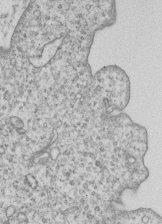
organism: Human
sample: MDA-MB-231 cells